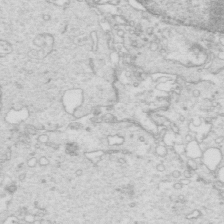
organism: Mouse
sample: Multiciliated cells